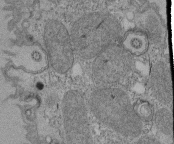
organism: Tetrahymena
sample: Cilia in tetrahymena